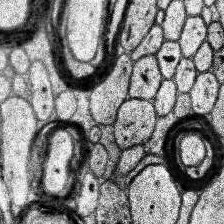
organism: Human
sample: Temporal Lobe